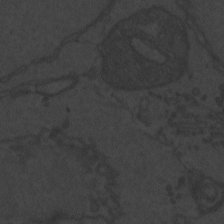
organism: Zebrafish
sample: Macrophage infected with Toxoplasma gondii